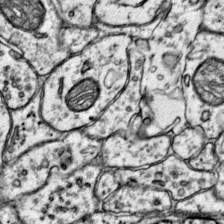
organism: Mouse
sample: Primary visual cortex